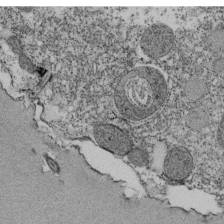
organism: Tetrahymena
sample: Cilia in tetrahymena